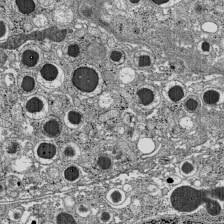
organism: C57BL Mouse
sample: Pancreatic islet